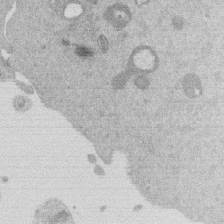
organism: Mouse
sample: Dividing mouse embryo 1 cell stage